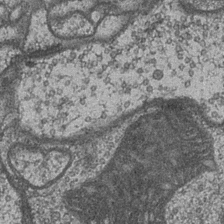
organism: Drosophila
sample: Optic medulla